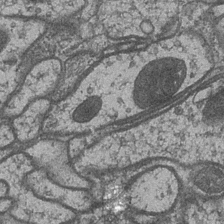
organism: Drosophila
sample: Optic medulla